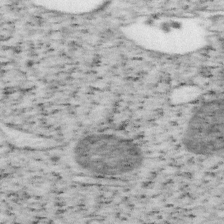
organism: Mouse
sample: OT-I killer T cells with ID8 ovarian cancer cells